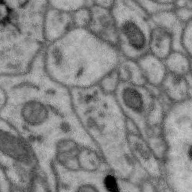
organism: Zebra finch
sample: Brain